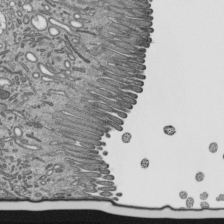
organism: Mouse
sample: Mouse epididymis efferent ductule cilia